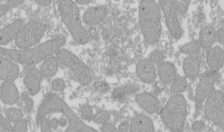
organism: Xenopus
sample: Cilia; centrioles in frog embryo cells